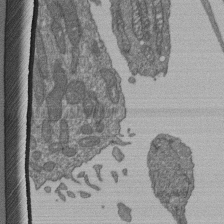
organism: Human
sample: Retinal organoid Rod and Cone cells